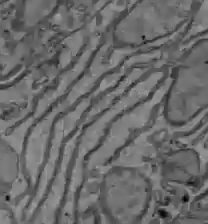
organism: C57BL Mouse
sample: Liver